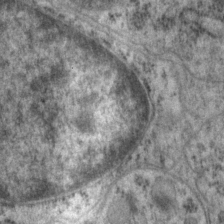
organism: P. pacificus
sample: Pharynx